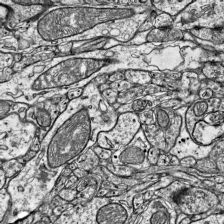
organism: Mouse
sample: Visual Cortex